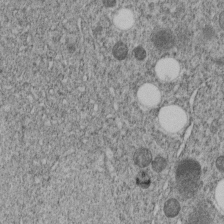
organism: C. elegans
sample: C. elegans embryo early stage